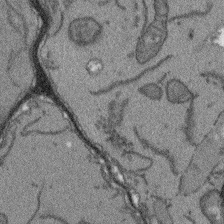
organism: Arabidopsis thaliana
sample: Root tip